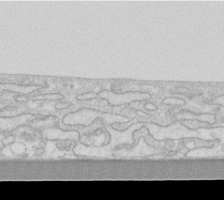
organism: Human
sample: Fibroblast cells